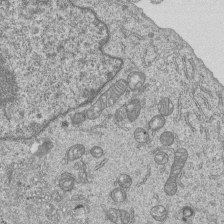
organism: Human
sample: MDA-MB-231 cells